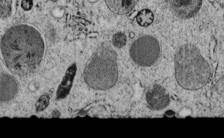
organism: C. elegans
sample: C. elegans embryo early stage